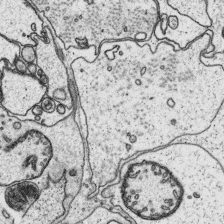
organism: Platynereis dumerilii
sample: Parapodia